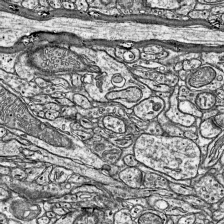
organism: Mouse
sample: Visual Cortex